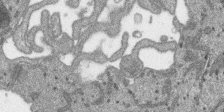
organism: Human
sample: Lung epithelial cells infected with SARS-CoV-2